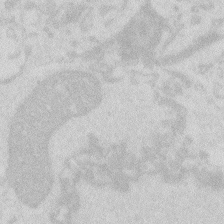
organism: Zebrafish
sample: Macrophage